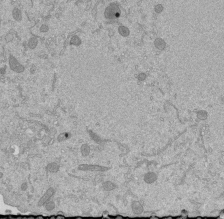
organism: Mouse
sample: ED-1 cell nuclei; centrioles